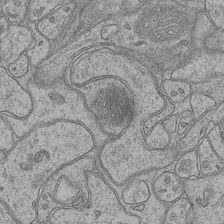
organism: Mouse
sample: CA1 Hippocampus